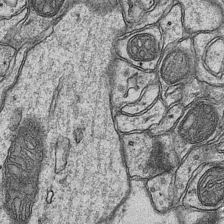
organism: Mouse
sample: CA1 Hippocampus